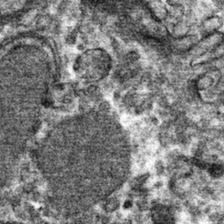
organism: Mouse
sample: Mouse hepatocytes